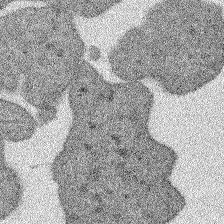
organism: Human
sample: HeLa cells